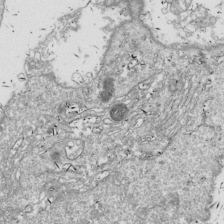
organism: Drosophila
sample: Cell division; meiosis; drosophila spermatocytes